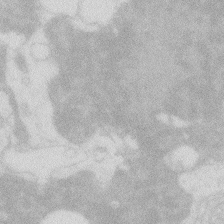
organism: Zebrafish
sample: Macrophage